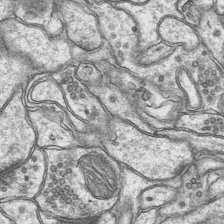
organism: Mouse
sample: CA1 Hippocampus